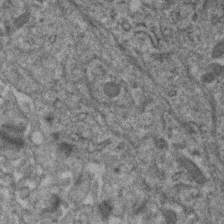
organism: Human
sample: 1205lu cells